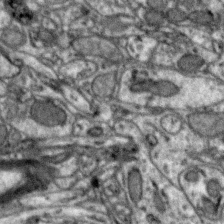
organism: Zebra finch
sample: Brain